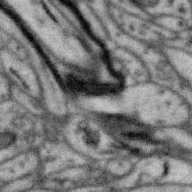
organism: Zebra finch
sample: Brain